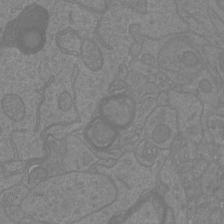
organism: Mouse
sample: Cortical neurons